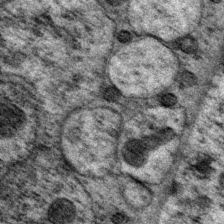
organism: P. pacificus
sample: Pharynx